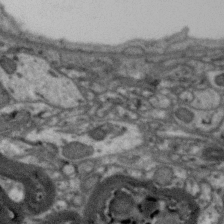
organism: Zebra finch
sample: Brain